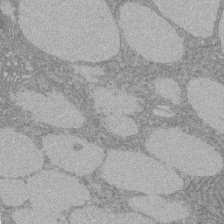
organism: Rat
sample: Salivary granule